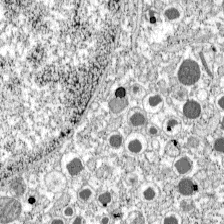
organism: C57BL Mouse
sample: Pancreatic islet